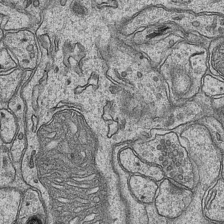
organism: Mouse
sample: CA1 Hippocampus